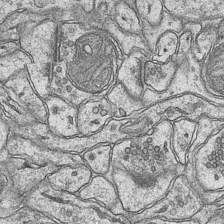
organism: Mouse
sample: CA1 Hippocampus